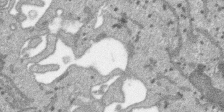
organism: Human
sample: Lung epithelial cells infected with SARS-CoV-2